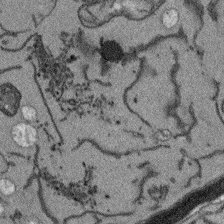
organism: Arabidopsis thaliana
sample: Root tip